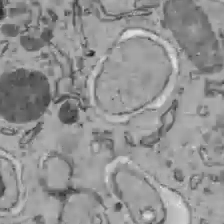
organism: C57BL Mouse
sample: Liver